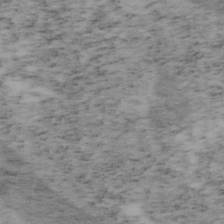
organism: Mouse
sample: OT-I killer T cells with ID8 ovarian cancer cells